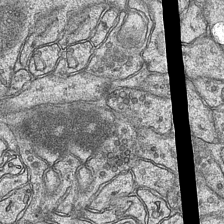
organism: Mouse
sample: CA1 Hippocampus